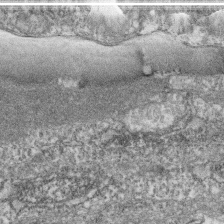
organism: Zebrafish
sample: Cilia; retinal pigment epithelium